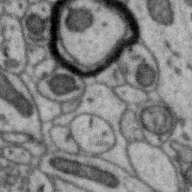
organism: Zebra finch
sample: Brain